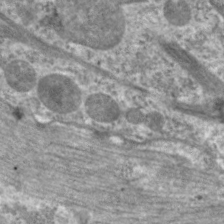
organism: C. elegans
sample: Pharynx